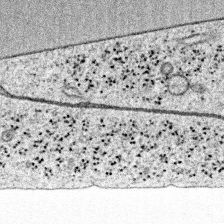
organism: Human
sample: HeLa cells